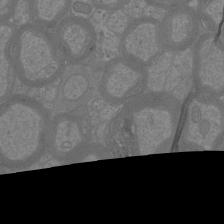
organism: Mouse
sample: Cortical neurons